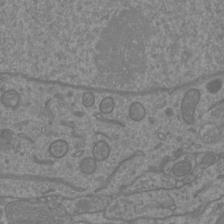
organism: Mouse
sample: Cortical neurons